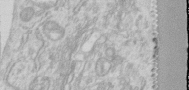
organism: Human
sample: Centriole in RPE cells